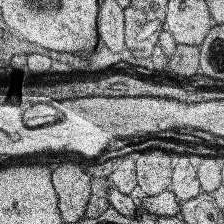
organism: Human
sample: Temporal Lobe